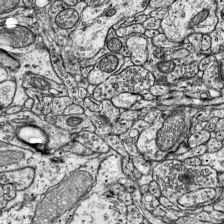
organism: Mouse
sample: Visual Cortex